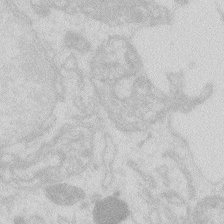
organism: Zebrafish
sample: Macrophage